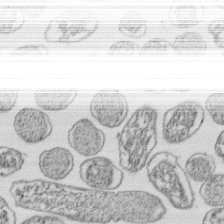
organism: E. coli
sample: Bacterial nucleoid